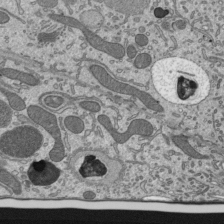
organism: Mouse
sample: Mouse epididymis efferent ductule cilia